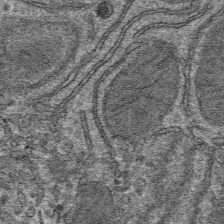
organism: Mouse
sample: Mouse hepatocytes